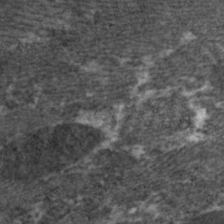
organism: C. elegans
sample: Pharynx